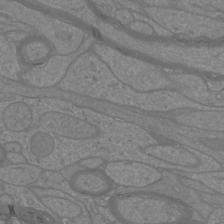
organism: Mouse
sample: Cortical neurons